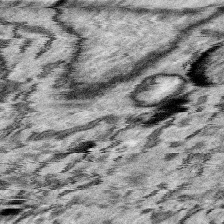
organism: Human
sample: HeLa cells